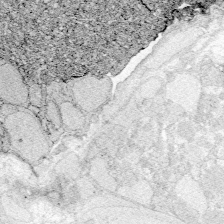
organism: Zebrafish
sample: Whole-Brain